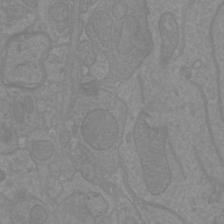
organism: Mouse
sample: Cortical neurons